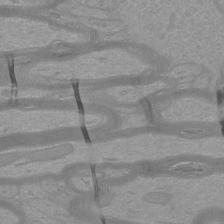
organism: Mouse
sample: Cortical neurons